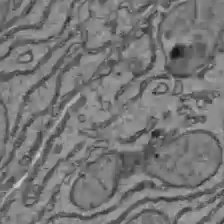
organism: C57BL Mouse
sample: Liver